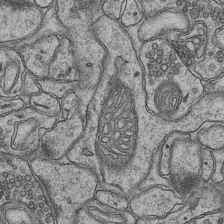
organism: Mouse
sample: CA1 Hippocampus